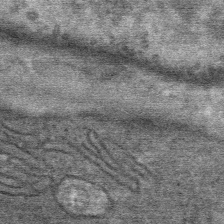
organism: Mouse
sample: Mouse Salivary gland